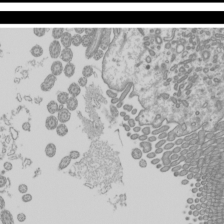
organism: Mouse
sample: Cilia; mouse epididymis